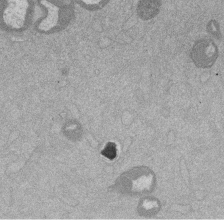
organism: Mouse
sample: Dividing mouse embryo 1 cell stage